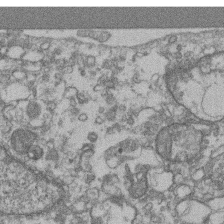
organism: Mouse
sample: T cell stromal cell synapse